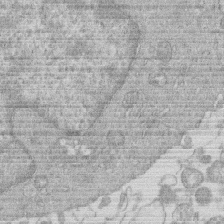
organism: Human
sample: Macrophage cells